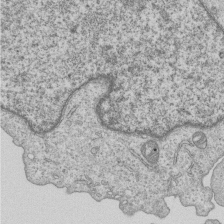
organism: Human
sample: MDA-MB-231 cells